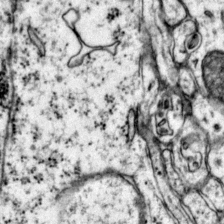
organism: Mouse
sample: Primary visual cortex